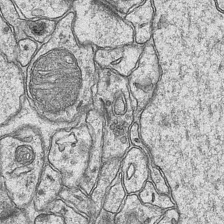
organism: Mouse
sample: CA1 Hippocampus